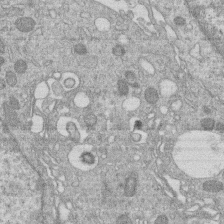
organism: Human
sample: Macrophage cells